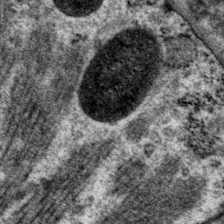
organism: P. pacificus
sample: Pharynx